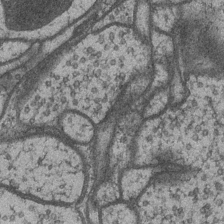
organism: Drosophila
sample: Optic medulla